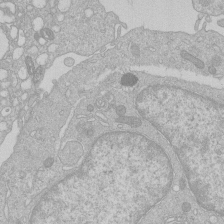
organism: Human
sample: Macrophage cells